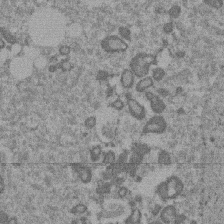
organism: Mouse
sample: Dividing mouse embryo 1 cell stage